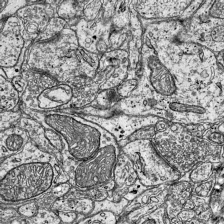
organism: Mouse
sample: Visual Cortex